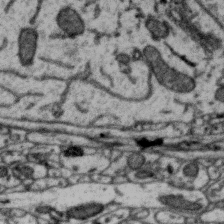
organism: Zebra finch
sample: Brain